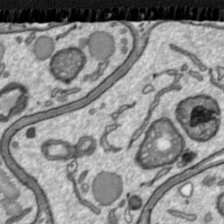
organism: Toxoplasma gondii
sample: Parasites in a vacuole inside a host cell